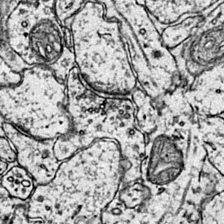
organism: Mouse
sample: Primary visual cortex